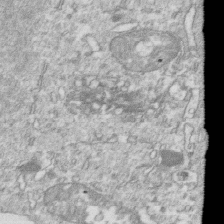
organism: Mouse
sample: Activated OT-1 CD8+ T cells